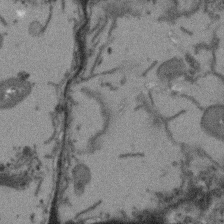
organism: Arabidopsis thaliana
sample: Root tip